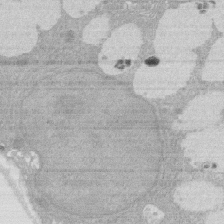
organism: Rat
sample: Salivary granule